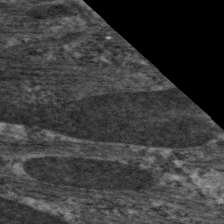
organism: C. elegans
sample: Pharynx